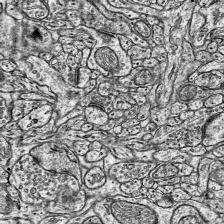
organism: Mouse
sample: Visual Cortex